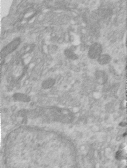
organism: Human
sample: Centriole in RPE cells